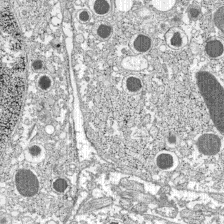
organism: C57BL Mouse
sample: Pancreatic islet